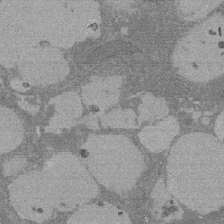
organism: Rat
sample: Salivary granule